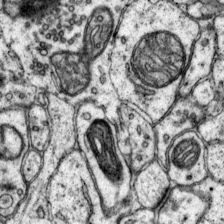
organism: Mouse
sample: Primary visual cortex